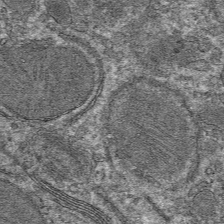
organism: Mouse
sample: Mouse hepatocytes